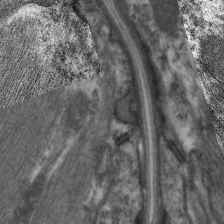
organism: C. elegans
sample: Pharynx